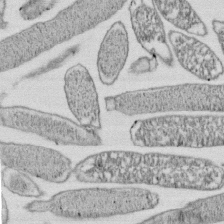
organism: E. coli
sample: Bacterial nucleoid